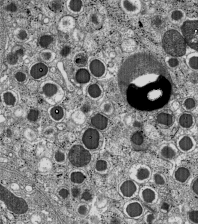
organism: C57BL Mouse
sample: Pancreatic islet